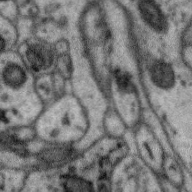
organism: Zebra finch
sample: Brain